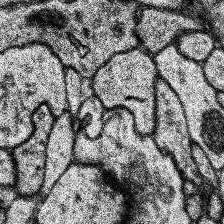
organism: Human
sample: Temporal Lobe